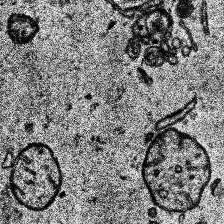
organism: Human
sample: Temporal Lobe